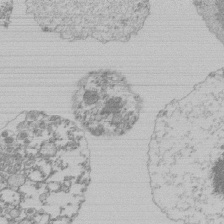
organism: Mouse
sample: Activated Pmel transgenic CD8+ T Cells